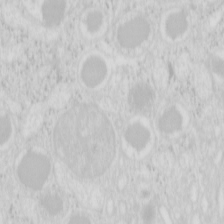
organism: Mouse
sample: Pancreas